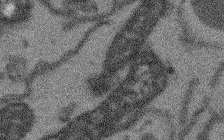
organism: Arabidopsis thaliana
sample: Root tip